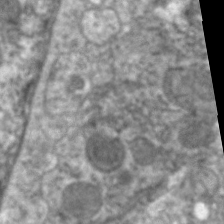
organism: C. elegans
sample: Pharynx